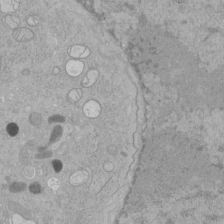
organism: Human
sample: Mitochondria in HCT116 cells